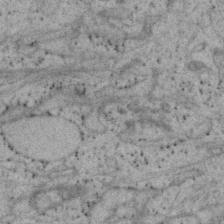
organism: Human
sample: HeLa cells